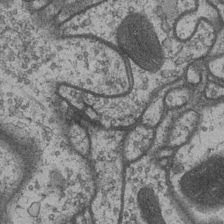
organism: Drosophila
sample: Optic medulla